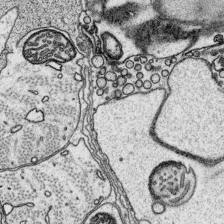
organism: Platynereis dumerilii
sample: Parapodia